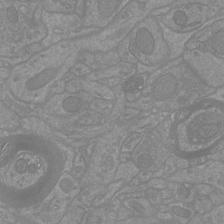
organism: Mouse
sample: Cortical neurons